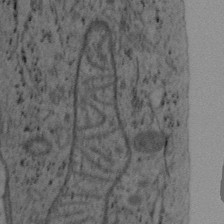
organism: Human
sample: HeLa cells